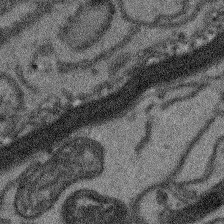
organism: Arabidopsis thaliana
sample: Root tip